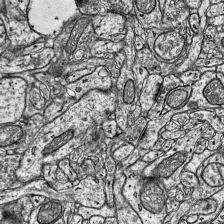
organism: Mouse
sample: Visual Cortex